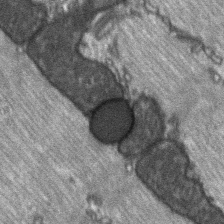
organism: C57BL Mouse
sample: Soleus